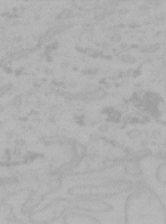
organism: Mouse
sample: Choroid plexus